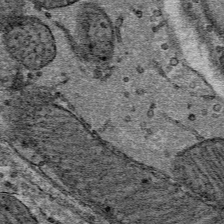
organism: Mouse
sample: Mouse Salivary gland